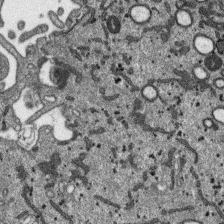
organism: Human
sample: Lung epithelial cells infected with SARS-CoV-2